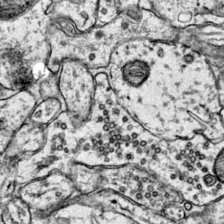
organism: Mouse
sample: Primary visual cortex